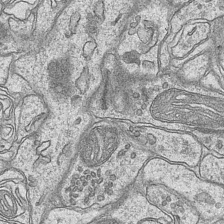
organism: Mouse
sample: CA1 Hippocampus